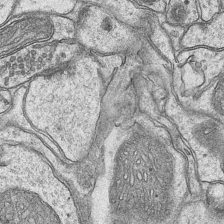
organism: Mouse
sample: CA1 Hippocampus